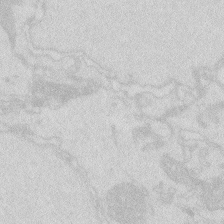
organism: Zebrafish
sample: Macrophage